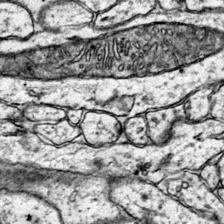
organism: Mouse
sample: Primary visual cortex